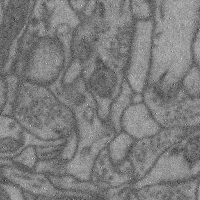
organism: Mouse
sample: Cerebral cortex